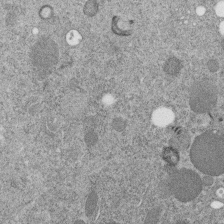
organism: C. elegans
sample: C. elegans embryo early stage